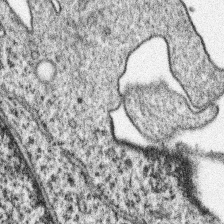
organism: Human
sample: HeLa cells